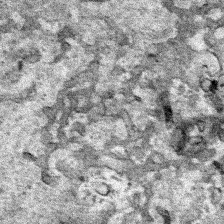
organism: Human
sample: Mitochondria in HCT116 cells